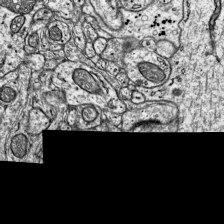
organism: Mouse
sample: Visual Cortex